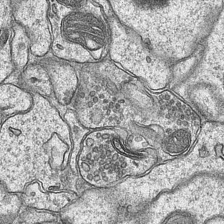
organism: Mouse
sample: CA1 Hippocampus